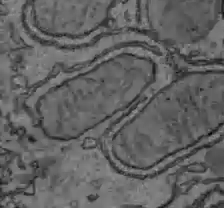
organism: C57BL Mouse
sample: Liver